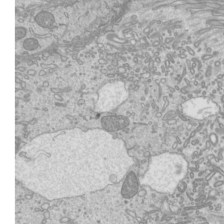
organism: Mouse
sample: Cilia; mouse epididymis